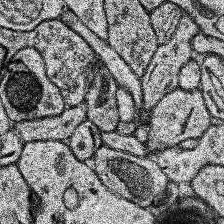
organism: Human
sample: Temporal Lobe